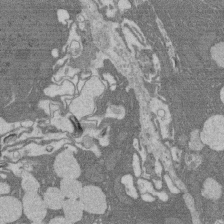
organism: Rat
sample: Salivary granule